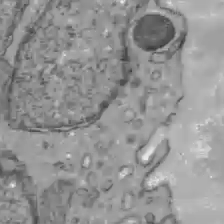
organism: C57BL Mouse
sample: Liver